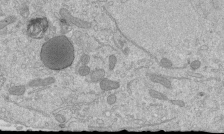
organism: Mouse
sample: ED-1 cell nuclei; centrioles